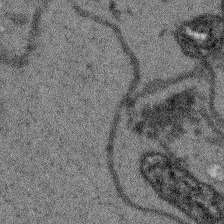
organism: Arabidopsis thaliana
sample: Root tip